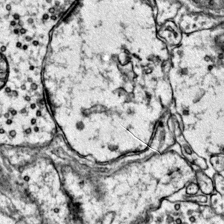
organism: Mouse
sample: Primary visual cortex